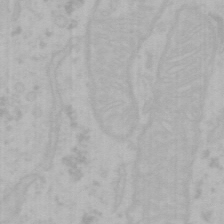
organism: Mouse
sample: Choroid plexus